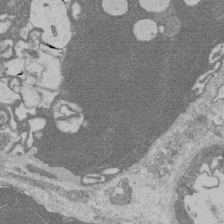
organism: Rat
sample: Salivary granule